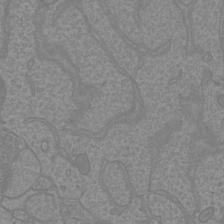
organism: Mouse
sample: Cortical neurons